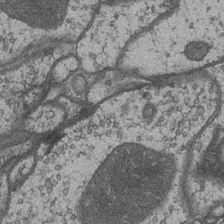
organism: Drosophila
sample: Optic medulla